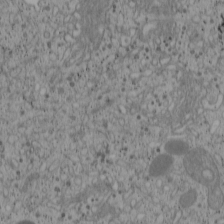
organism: African green monkey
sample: COS-7 cells